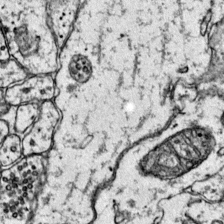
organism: Mouse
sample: Primary visual cortex